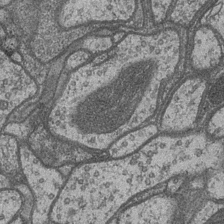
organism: Drosophila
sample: Optic medulla